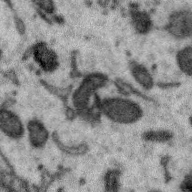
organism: Zebra finch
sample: Brain